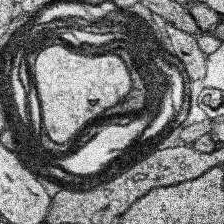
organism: Human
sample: Temporal Lobe